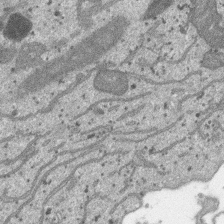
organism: Human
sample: Lung epithelial cells infected with SARS-CoV-2